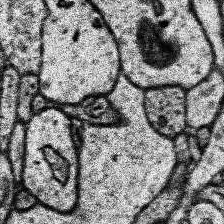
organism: Human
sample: Temporal Lobe